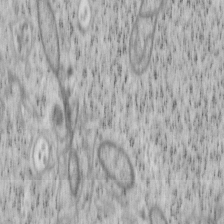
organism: Human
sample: HeLa cells